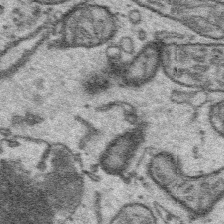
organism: Platynereis dumerilii